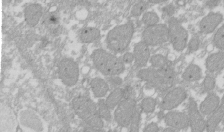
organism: Xenopus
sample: Cilia; centrioles in frog embryo cells